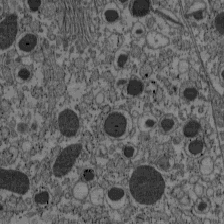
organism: C57BL Mouse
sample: Pancreatic islet